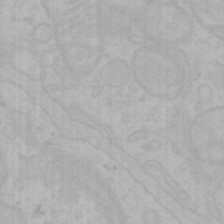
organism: Mouse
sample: Choroid plexus